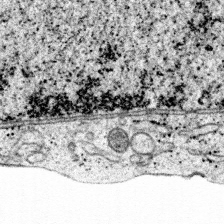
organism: Human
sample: HeLa cells